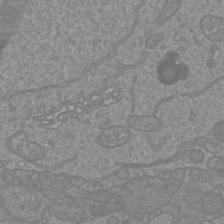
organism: Mouse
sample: Cortical neurons